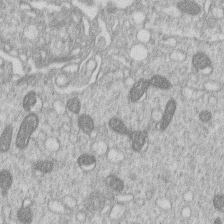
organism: Human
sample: Macrophage cells